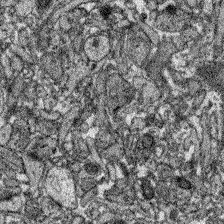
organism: Zebrafish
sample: Larval olfactory bulb